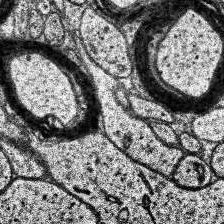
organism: Human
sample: Temporal Lobe